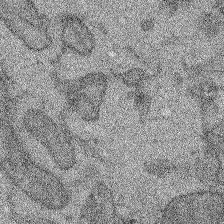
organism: Human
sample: HeLa cells